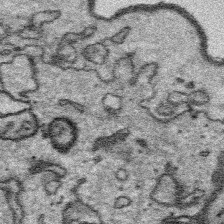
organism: Platynereis dumerilii